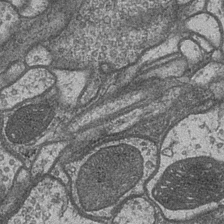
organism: Drosophila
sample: Optic medulla